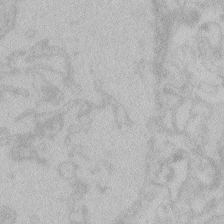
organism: Zebrafish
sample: Macrophage infected with Toxoplasma gondii